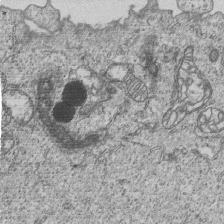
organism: Human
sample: MDA-MB-231 cells